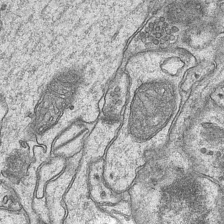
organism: Mouse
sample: CA1 Hippocampus